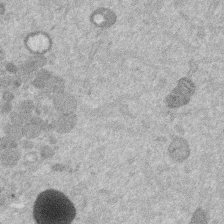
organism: Mouse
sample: Dividing mouse embryo 1 cell stage